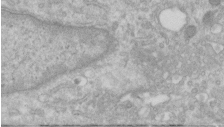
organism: Human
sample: Centriole in RPE cells